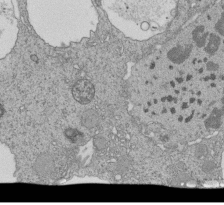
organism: Tetrahymena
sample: Cilia in tetrahymena